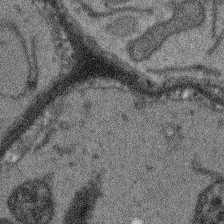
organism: Arabidopsis thaliana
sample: Root tip